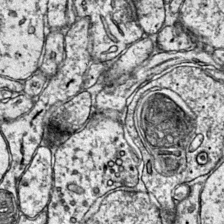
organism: Mouse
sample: Primary visual cortex